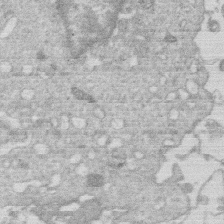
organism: Human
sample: Macrophage cells